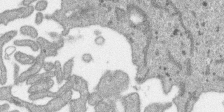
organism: Human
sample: Lung epithelial cells infected with SARS-CoV-2